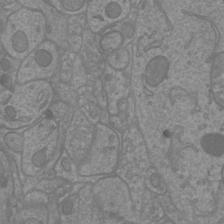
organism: Mouse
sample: Cortical neurons